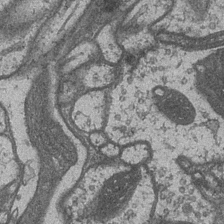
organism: Drosophila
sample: Optic medulla